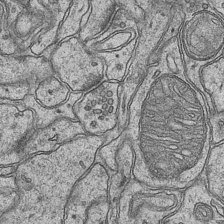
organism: Mouse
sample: CA1 Hippocampus